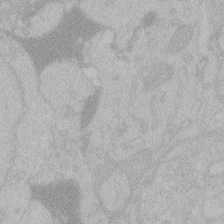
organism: Zebrafish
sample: Macrophage infected with Toxoplasma gondii